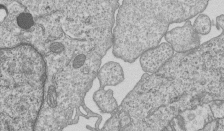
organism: Human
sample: MDA-MB-231 cells